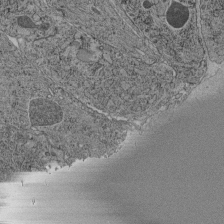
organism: C. elegans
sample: C. elegans pharynx